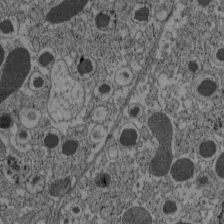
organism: C57BL Mouse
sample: Pancreatic islet